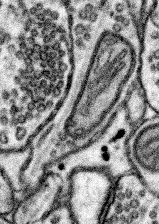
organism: Mouse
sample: Somatosensory cortex neuropil